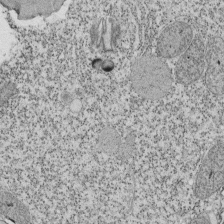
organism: Tetrahymena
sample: Cilia in tetrahymena